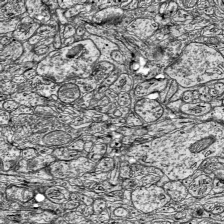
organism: Mouse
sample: Visual Cortex